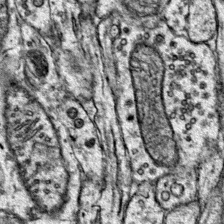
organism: Mouse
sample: Primary visual cortex